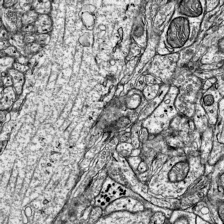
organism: Mouse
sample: Visual Cortex